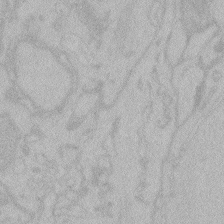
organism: Zebrafish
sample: Macrophage infected with Toxoplasma gondii